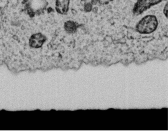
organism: C. elegans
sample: C. elegans embryo early stage